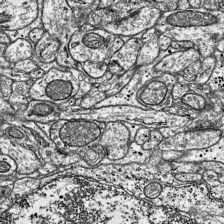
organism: Mouse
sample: Visual Cortex